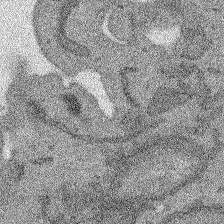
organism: Human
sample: HeLa cells